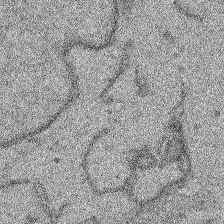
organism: Human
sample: HeLa cells